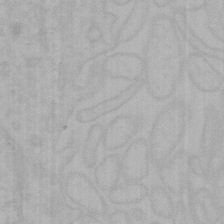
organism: Mouse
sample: Choroid plexus